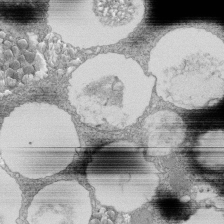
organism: Tetrahymena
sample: Cilia in tetrahymena